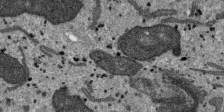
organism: Human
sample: Lung epithelial cells, uninfected (mock) control